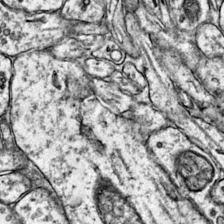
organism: Mouse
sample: Primary visual cortex